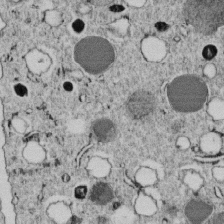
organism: C. elegans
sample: C. elegans embryo early stage